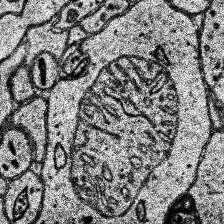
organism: Human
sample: Temporal Lobe